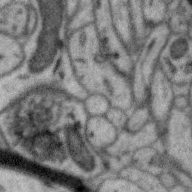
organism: Zebra finch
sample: Brain